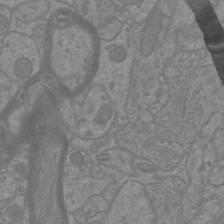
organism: Mouse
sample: Cortical neurons